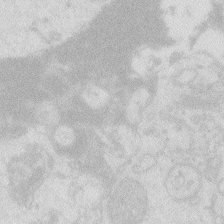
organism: Zebrafish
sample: Macrophage